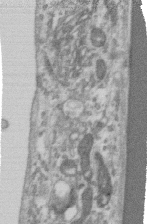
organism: Human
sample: Centriole in RPE cells